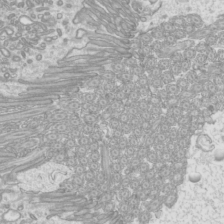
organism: Mouse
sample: Cilia; mouse epididymis